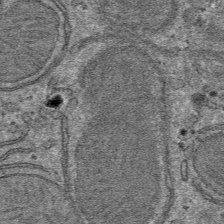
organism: Mouse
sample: Mouse hepatocytes